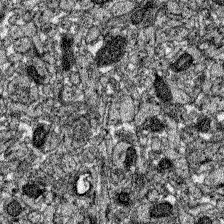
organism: Zebrafish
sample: Larval olfactory bulb